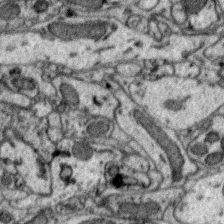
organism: Zebra finch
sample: Brain